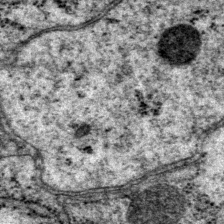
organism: P. pacificus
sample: Pharynx